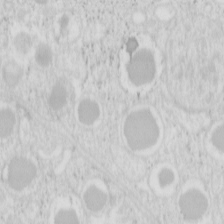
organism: Mouse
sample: Pancreas